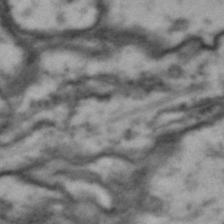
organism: Drosophila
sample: Brain